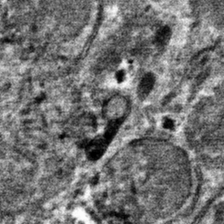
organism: Mouse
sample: Mouse hepatocytes